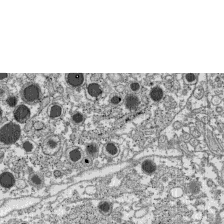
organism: C57BL Mouse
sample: Pancreatic islet